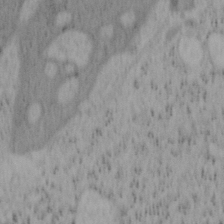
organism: Mouse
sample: OT-I killer T cells with ID8 ovarian cancer cells